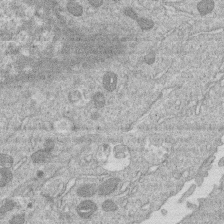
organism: Human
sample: Macrophage cells